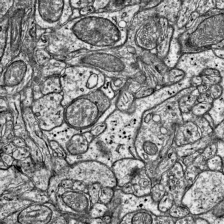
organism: Mouse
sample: Visual Cortex